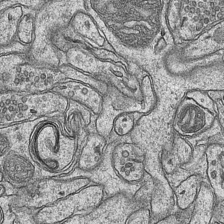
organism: Mouse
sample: CA1 Hippocampus